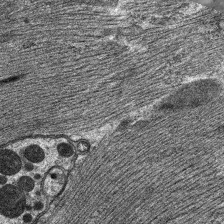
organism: C. elegans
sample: Pharynx